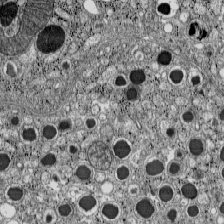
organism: C57BL Mouse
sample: Pancreatic islet